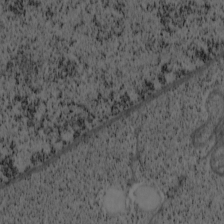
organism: African green monkey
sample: COS-7 cells